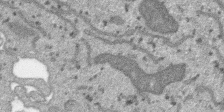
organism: Human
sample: Lung epithelial cells infected with SARS-CoV-2